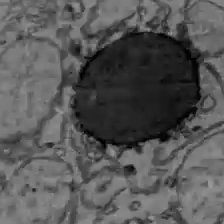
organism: C57BL Mouse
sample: Liver